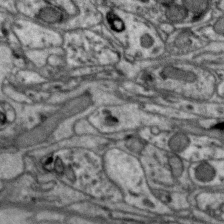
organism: Zebra finch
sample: Brain